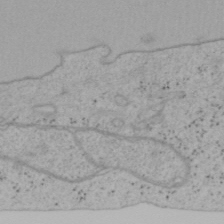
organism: Human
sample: HeLa cells